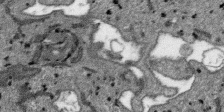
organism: Human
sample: Lung epithelial cells, uninfected (mock) control